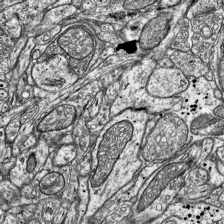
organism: Mouse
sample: Visual Cortex